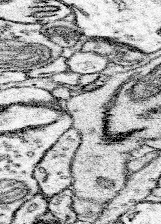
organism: Mouse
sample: Somatosensory cortex neuropil